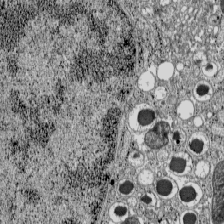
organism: C57BL Mouse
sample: Pancreatic islet